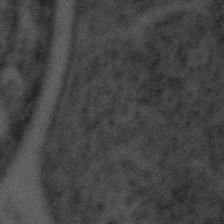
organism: Tuwongella immobilis